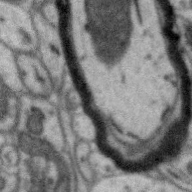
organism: Zebra finch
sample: Brain